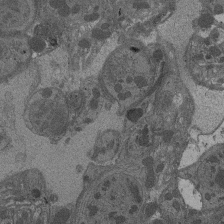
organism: Drosophila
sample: Antenna